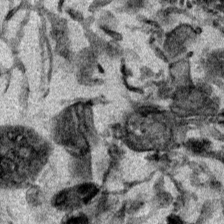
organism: Mouse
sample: Cancer cell death in ED-1 cells